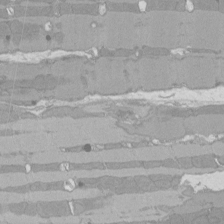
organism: Rat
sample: Left ventricle